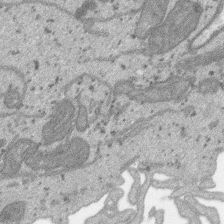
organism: Human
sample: Lung epithelial cells infected with SARS-CoV-2